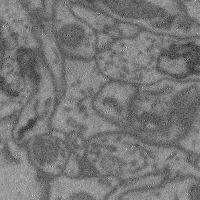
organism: Mouse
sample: Cerebral cortex